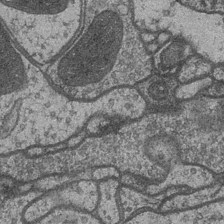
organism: Drosophila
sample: Optic medulla